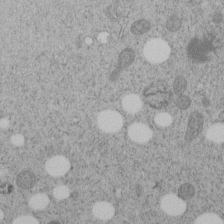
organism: C. elegans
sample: C. elegans embryo early stage